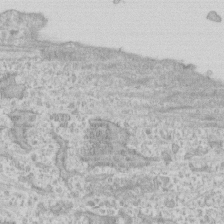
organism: Human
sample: CRL-1474